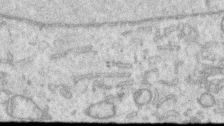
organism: Human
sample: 1205lu cells